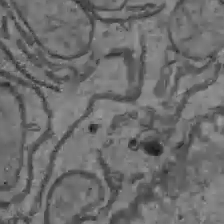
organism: C57BL Mouse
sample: Liver